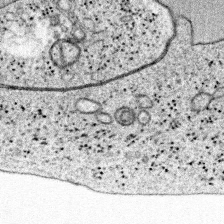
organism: Human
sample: HeLa cells